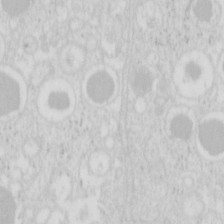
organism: Mouse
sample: Pancreas